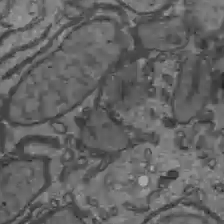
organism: C57BL Mouse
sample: Liver